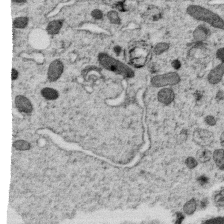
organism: C. elegans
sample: C. elegans oocyte; sperm cells